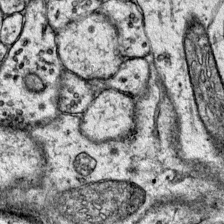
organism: Mouse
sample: Primary visual cortex